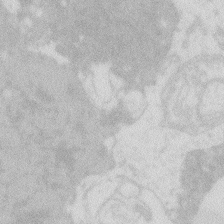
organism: Zebrafish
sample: Macrophage